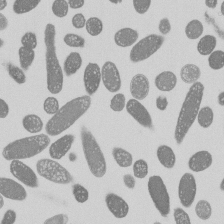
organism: E. coli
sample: Bacterial nucleoid